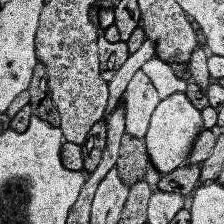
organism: Human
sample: Temporal Lobe